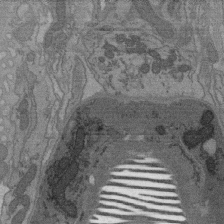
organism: C. elegans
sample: AFD neurons C. elegans